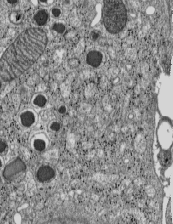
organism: C57BL Mouse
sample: Pancreatic islet